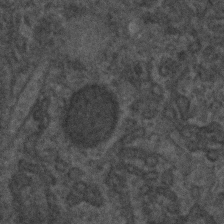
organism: C. elegans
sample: C. elegans embryo